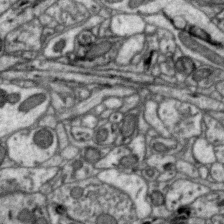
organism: Zebra finch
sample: Brain